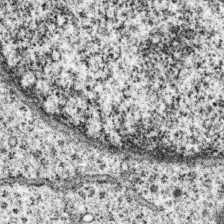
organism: Human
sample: HeLa cells